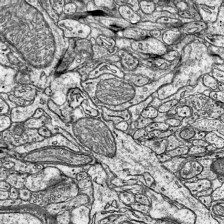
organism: Mouse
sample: Visual Cortex